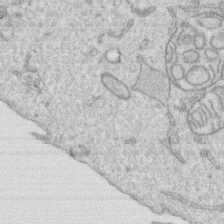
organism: Human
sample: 1205lu cells